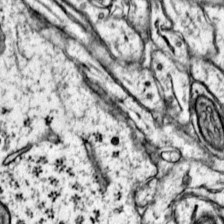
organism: Mouse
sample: Primary visual cortex